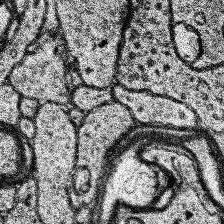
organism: Human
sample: Temporal Lobe